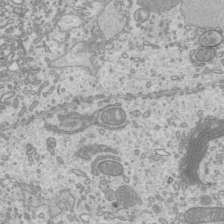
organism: Mouse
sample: Cilia; mouse epididymis